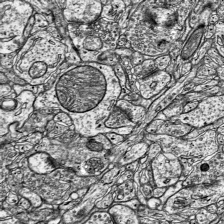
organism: Mouse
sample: Visual Cortex